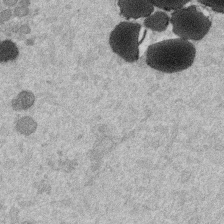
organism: Mouse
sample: Dividing mouse embryo 1 cell stage